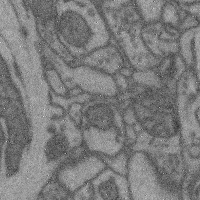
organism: Mouse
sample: Cerebral cortex